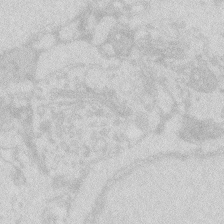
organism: Zebrafish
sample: Macrophage